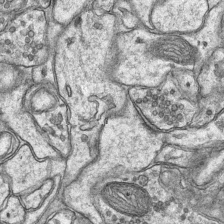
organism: Mouse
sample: CA1 Hippocampus